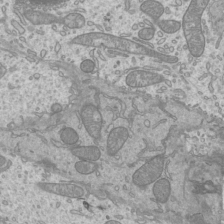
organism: Mouse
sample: Cilia; mouse epididymis